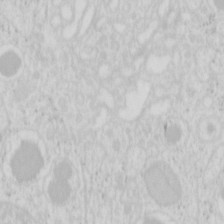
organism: Mouse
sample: Pancreas